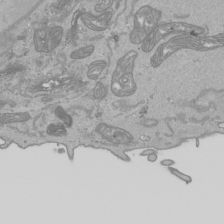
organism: Human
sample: Mitochondria in HCT116 cells